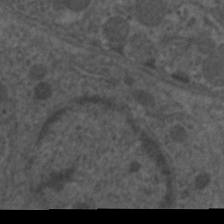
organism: C. elegans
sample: Pharynx